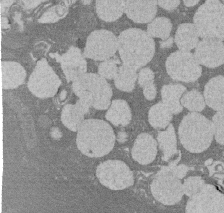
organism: Rat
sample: Salivary granule